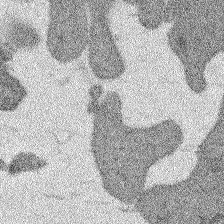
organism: Human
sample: HeLa cells